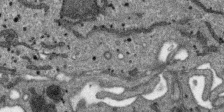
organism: Human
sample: Lung epithelial cells, uninfected (mock) control